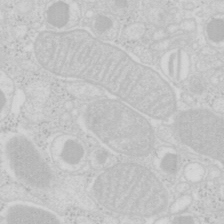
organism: Mouse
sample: Pancreas